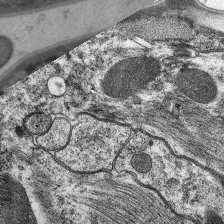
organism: C. elegans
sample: Pharynx